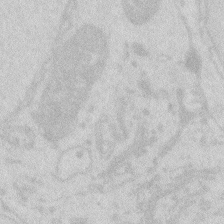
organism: Zebrafish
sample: Macrophage